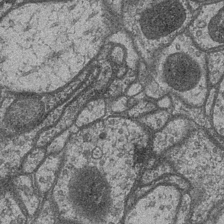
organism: Drosophila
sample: Optic medulla